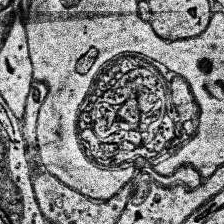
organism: Human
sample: Temporal Lobe